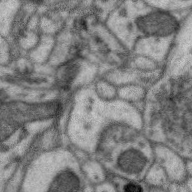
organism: Zebra finch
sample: Brain